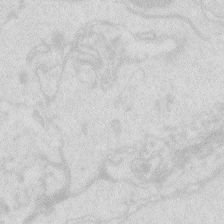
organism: Zebrafish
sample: Macrophage